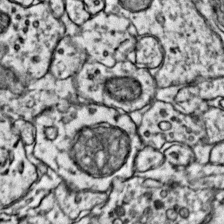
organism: Mouse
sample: Primary visual cortex